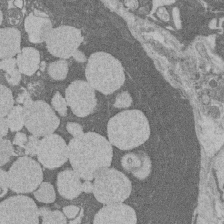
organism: Rat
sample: Salivary granule